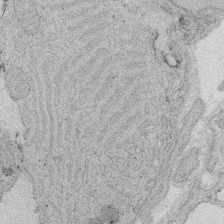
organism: Rat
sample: Salivary granule